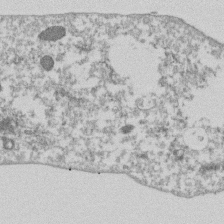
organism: Dictyostelium discoideum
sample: Dictyostelium multivesicular bodies